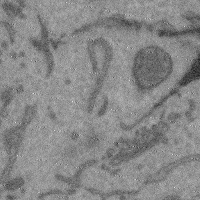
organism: Mouse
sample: Cerebral cortex